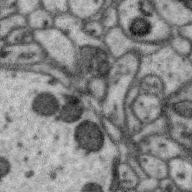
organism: Zebra finch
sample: Brain